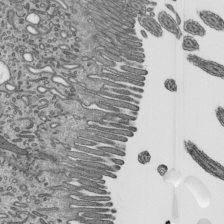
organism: Mouse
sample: Mouse epididymis efferent ductule cilia